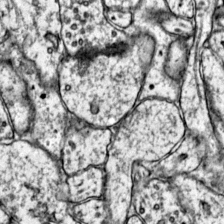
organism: Mouse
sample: Primary visual cortex